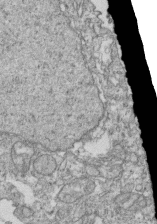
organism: Human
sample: HeLa cell HIV synapse